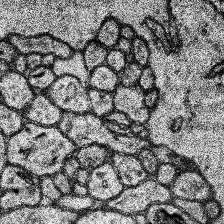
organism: Human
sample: Temporal Lobe